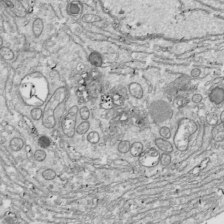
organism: Drosophila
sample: Cell division; meiosis; drosophila spermatocytes